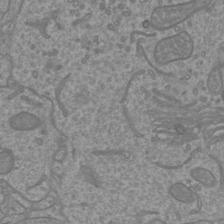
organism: Mouse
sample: Cortical neurons